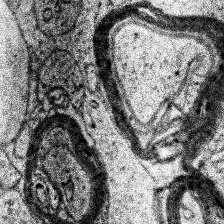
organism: Human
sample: Temporal Lobe